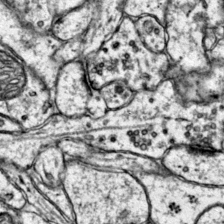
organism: Mouse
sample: Primary visual cortex